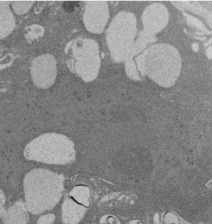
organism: Rat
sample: Salivary granule